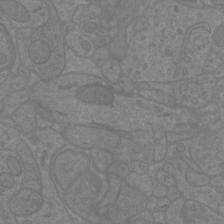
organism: Mouse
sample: Cortical neurons